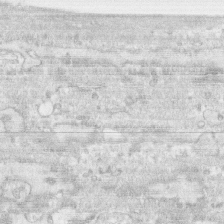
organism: Human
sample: CRL-1474